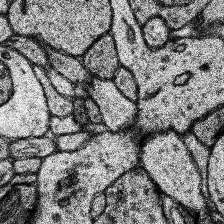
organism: Human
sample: Temporal Lobe